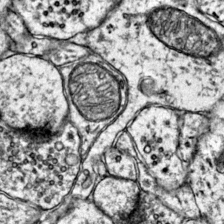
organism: Mouse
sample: Primary visual cortex